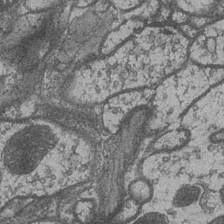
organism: Drosophila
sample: Optic medulla